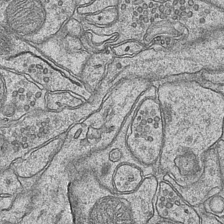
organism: Mouse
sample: CA1 Hippocampus